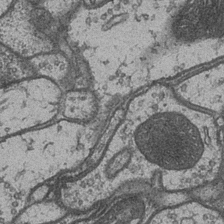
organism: Drosophila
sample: Optic medulla